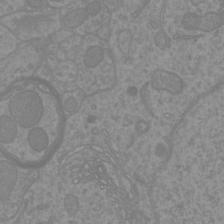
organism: Mouse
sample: Cortical neurons